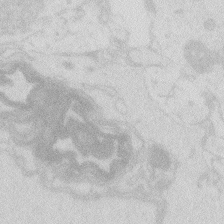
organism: Zebrafish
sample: Macrophage